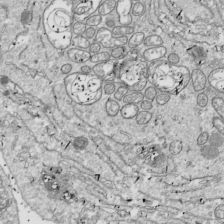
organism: Drosophila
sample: Cell division; meiosis; drosophila spermatocytes